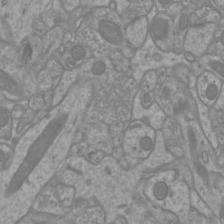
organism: Mouse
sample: Cortical neurons